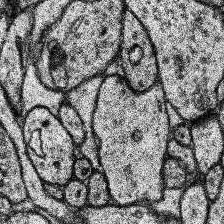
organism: Human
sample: Temporal Lobe